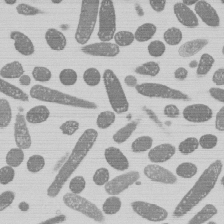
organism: E. coli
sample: Bacterial nucleoid